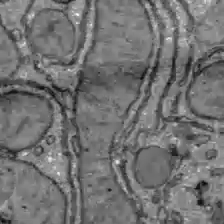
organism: C57BL Mouse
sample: Liver